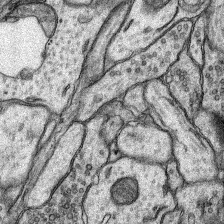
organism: Rat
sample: Hippocampus